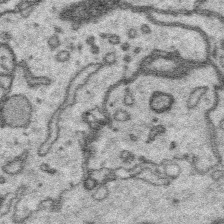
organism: Platynereis dumerilii